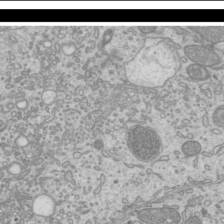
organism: Mouse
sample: Cilia; mouse epididymis